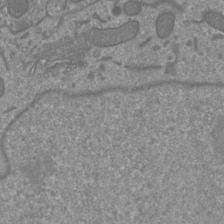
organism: Mouse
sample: Cortical neurons